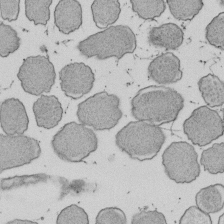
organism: E. coli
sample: Bacterial nucleoid